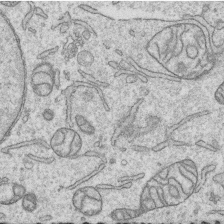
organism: Human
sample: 1205lu cells